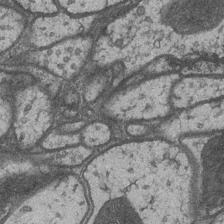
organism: Drosophila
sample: Optic medulla